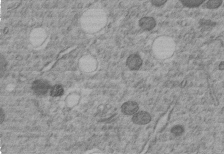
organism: C. elegans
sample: C. elegans embryo early stage